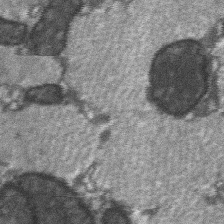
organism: C57BL Mouse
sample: Soleus